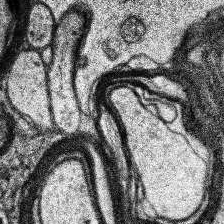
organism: Human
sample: Temporal Lobe